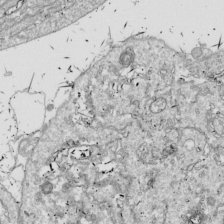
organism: Drosophila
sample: Cell division; meiosis; drosophila spermatocytes